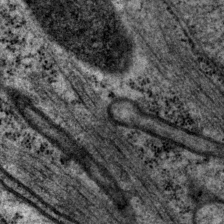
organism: P. pacificus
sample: Pharynx